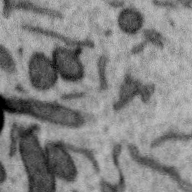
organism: Zebra finch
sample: Brain